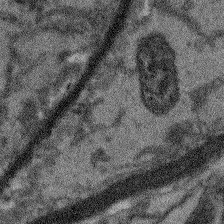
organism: Arabidopsis thaliana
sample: Root tip